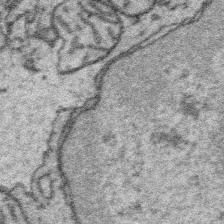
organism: Platynereis dumerilii